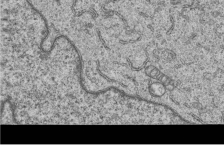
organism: Human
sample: MDA-MB-231 cells